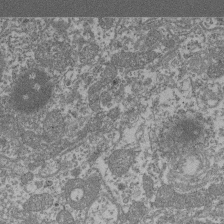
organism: Mouse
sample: Glomerulus